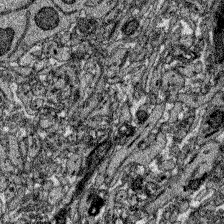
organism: Zebrafish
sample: Larval olfactory bulb